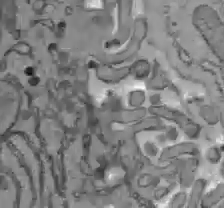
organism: C57BL Mouse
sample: Liver